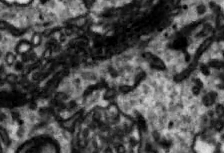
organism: Human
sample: HeLa cells